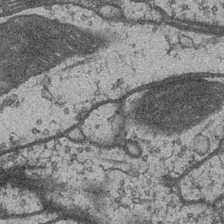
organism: Drosophila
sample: Optic medulla